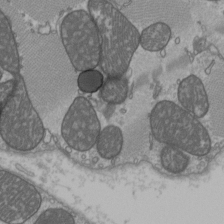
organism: C57BL Mouse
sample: Heart